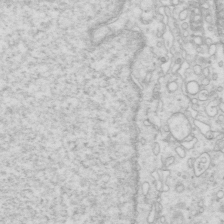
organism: Mouse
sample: Multiciliated cells